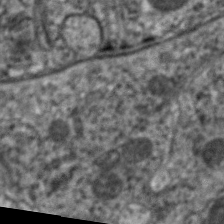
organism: C. elegans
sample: Pharynx